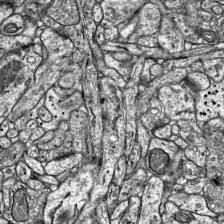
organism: Mouse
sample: Visual Cortex